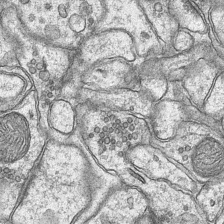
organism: Mouse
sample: CA1 Hippocampus